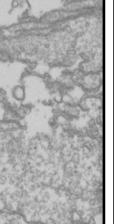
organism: Drosophila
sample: Cell division; meiosis; drosophila spermatocytes